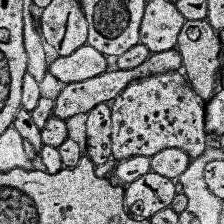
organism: Human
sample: Temporal Lobe